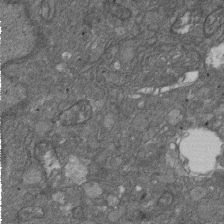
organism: Drosophila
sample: Nephrocyte